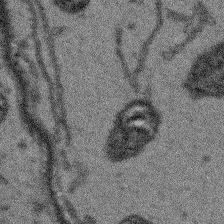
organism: Arabidopsis thaliana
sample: Root tip